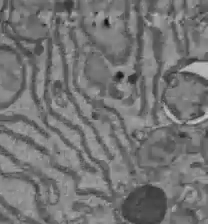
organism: C57BL Mouse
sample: Liver